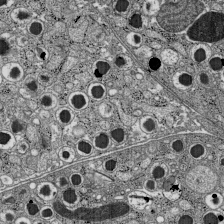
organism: C57BL Mouse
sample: Pancreatic islet